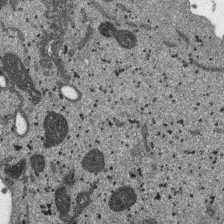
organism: Human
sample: Lung epithelial cells infected with SARS-CoV-2